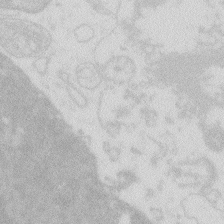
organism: Zebrafish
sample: Macrophage